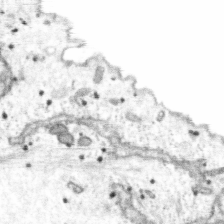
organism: Human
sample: HeLa cells